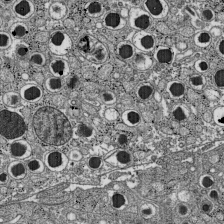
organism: C57BL Mouse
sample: Pancreatic islet